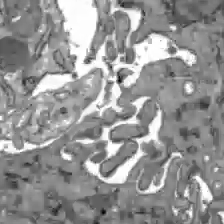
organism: C57BL Mouse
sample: Liver